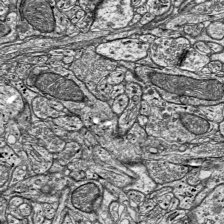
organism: Mouse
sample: Visual Cortex